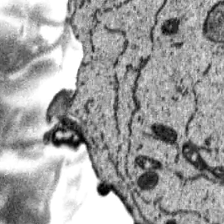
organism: Human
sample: HeLa cells